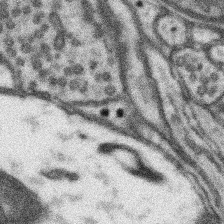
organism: Mouse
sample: Somatosensory cortex neuropil